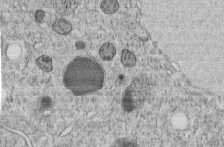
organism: C. elegans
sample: C. elegans embryo early stage